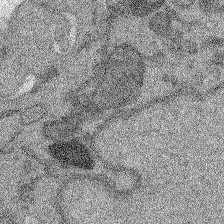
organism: Human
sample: HeLa cells